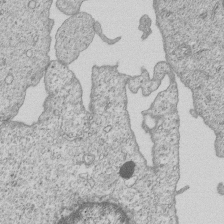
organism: Human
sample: MDA-MB-231 cells